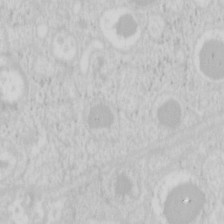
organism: Mouse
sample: Pancreas